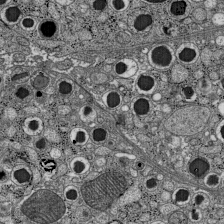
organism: C57BL Mouse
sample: Pancreatic islet